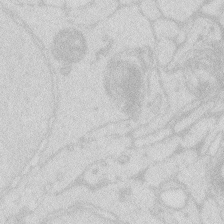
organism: Zebrafish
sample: Macrophage